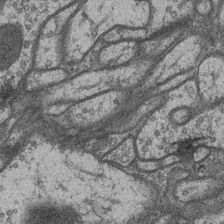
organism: Drosophila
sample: Optic medulla